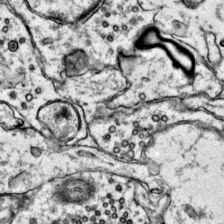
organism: Mouse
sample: Primary visual cortex